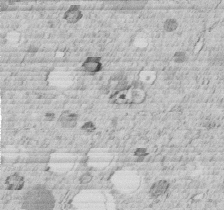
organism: C. elegans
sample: C. elegans embryo early stage